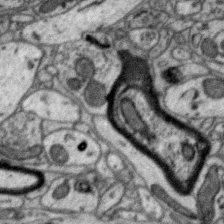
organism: Zebra finch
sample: Brain